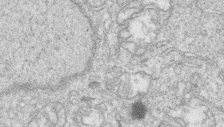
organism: Human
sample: HeLa cell HIV synapse